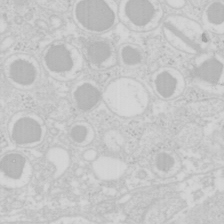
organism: Mouse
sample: Pancreas